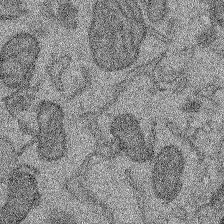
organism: Human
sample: HeLa cells